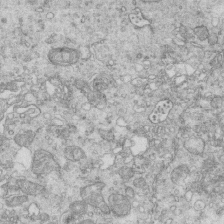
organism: Mouse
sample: Multiciliated cells